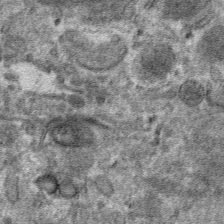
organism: Mouse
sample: Mouse hepatocytes